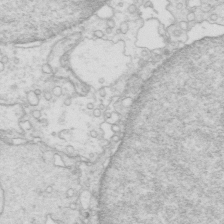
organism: Mouse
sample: Multiciliated cells